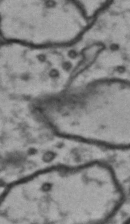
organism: Drosophila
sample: Brain